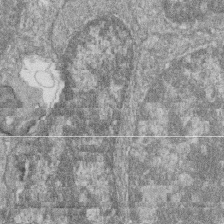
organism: Zebrafish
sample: Cilia; retinal pigment epithelium